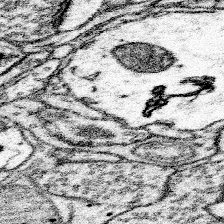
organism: Mouse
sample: Somatosensory cortex neuropil